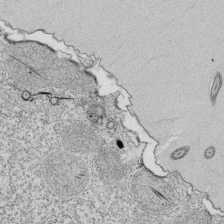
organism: Tetrahymena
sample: Cilia in tetrahymena